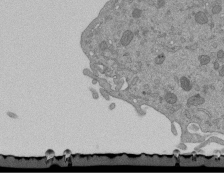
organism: Mouse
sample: ED-1 cell nuclei; centrioles